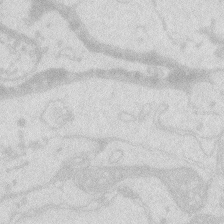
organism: Zebrafish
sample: Macrophage